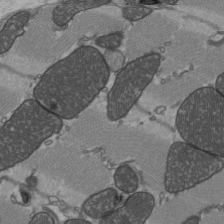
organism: C57BL Mouse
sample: Heart